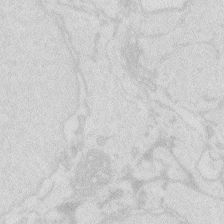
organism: Zebrafish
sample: Macrophage